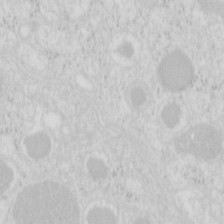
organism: Mouse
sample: Pancreas